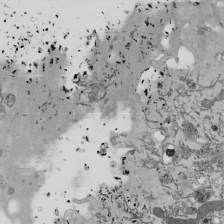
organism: Mouse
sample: ED-1 cell nuclei; centrioles